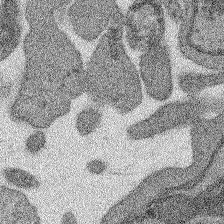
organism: Human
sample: HeLa cells